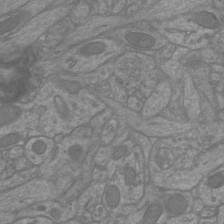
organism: Mouse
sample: Cortical neurons